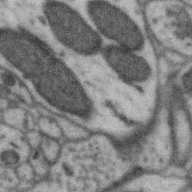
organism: Zebra finch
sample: Brain